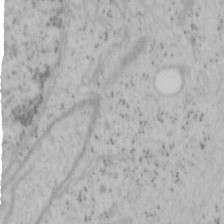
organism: Human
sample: HeLa cells